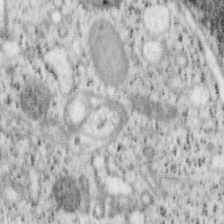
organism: Mouse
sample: OT-I killer T cells with ID8 ovarian cancer cells